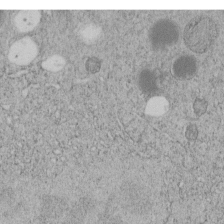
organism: C. elegans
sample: C. elegans embryo early stage